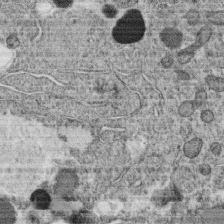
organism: C. elegans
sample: C. elegans oocyte; sperm cells